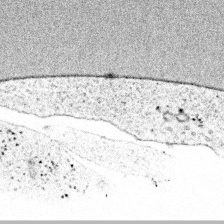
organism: Human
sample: HeLa cells